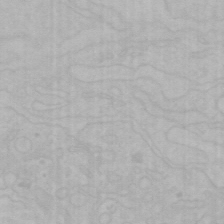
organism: Mouse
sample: Choroid plexus